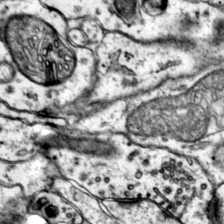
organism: Mouse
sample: Primary visual cortex